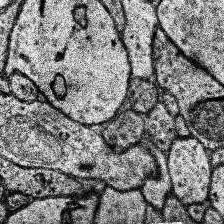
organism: Human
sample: Temporal Lobe